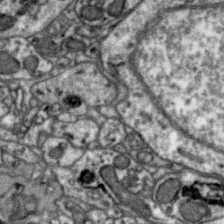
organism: Zebra finch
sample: Brain